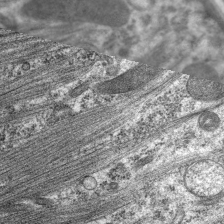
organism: C. elegans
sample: Pharynx